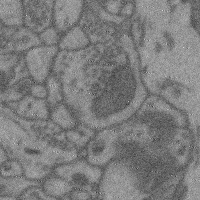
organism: Mouse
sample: Cerebral cortex